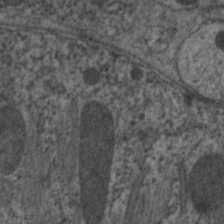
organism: C. elegans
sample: Pharynx